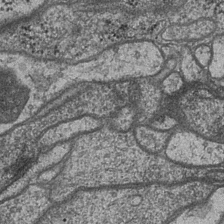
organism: Drosophila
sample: Optic medulla